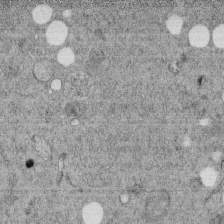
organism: C. elegans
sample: C. elegans embryo early stage